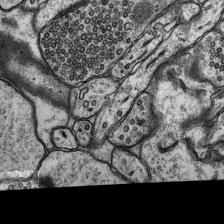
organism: Rat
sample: Hippocampus